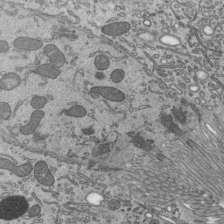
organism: Mouse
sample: Mouse epididymis efferent ductule cilia